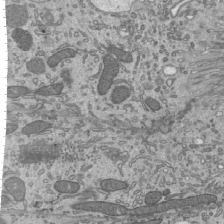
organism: Mouse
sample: Mouse epididymis efferent ductule cilia